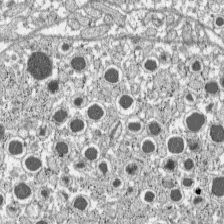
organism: C57BL Mouse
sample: Pancreatic islet